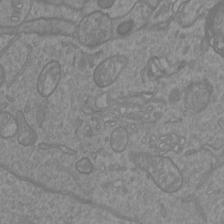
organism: Mouse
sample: Cortical neurons